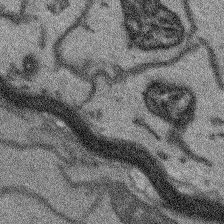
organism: Arabidopsis thaliana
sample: Root tip